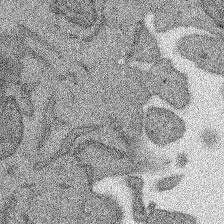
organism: Human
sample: HeLa cells